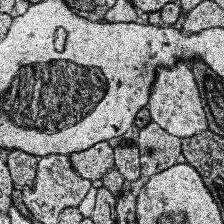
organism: Human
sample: Temporal Lobe